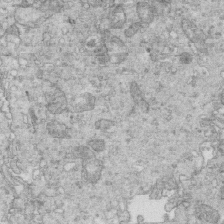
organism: Mouse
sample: Multiciliated cells